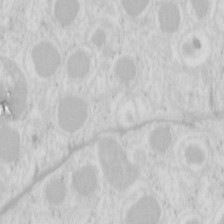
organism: Mouse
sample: Pancreas